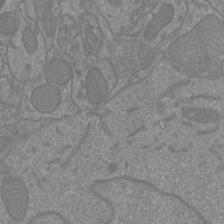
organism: Mouse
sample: Cortical neurons